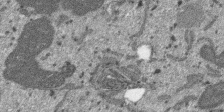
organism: Human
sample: Lung epithelial cells infected with SARS-CoV-2